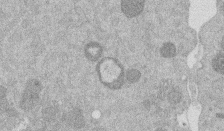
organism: Mouse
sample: Dividing mouse embryo 1 cell stage